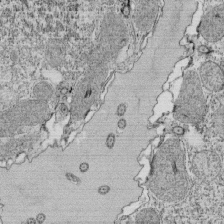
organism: Tetrahymena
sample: Cilia in tetrahymena